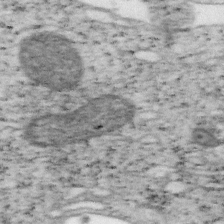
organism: Mouse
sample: OT-I killer T cells with ID8 ovarian cancer cells